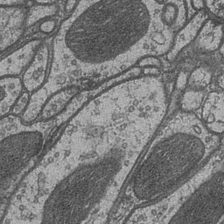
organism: Drosophila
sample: Optic medulla